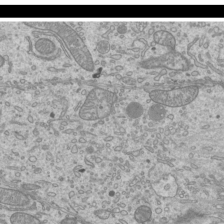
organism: Mouse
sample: Cilia; mouse epididymis